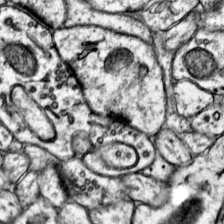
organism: Mouse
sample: Primary visual cortex